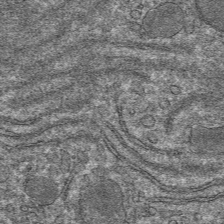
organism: Mouse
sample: Mouse hepatocytes